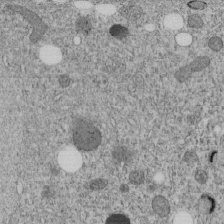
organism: C. elegans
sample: C. elegans embryo early stage